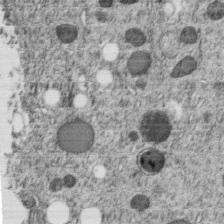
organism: C. elegans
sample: C. elegans embryo early stage